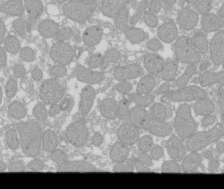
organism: Xenopus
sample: Cilia; centrioles in frog embryo cells